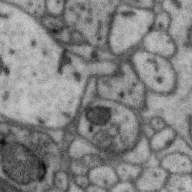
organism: Zebra finch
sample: Brain